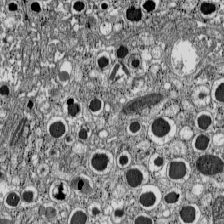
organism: C57BL Mouse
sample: Pancreatic islet